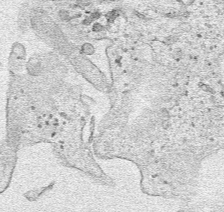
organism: Human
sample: Mitochondria in HCT116 cells